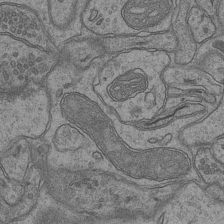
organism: Mouse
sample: CA1 Hippocampus